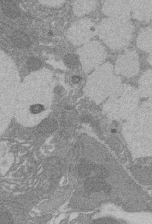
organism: Rat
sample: Salivary granule